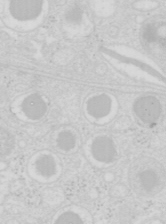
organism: Mouse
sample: Pancreas